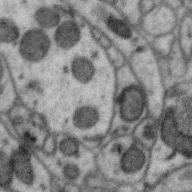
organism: Zebra finch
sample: Brain